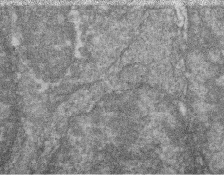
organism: Zebrafish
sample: Cilia; retinal pigment epithelium